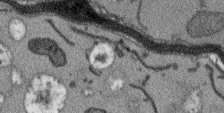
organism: Arabidopsis thaliana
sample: Root tip